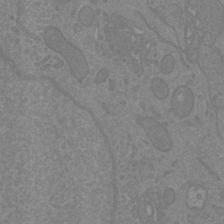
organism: Mouse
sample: Cortical neurons